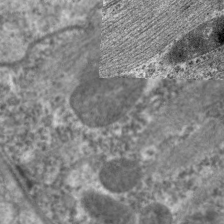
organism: C. elegans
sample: Pharynx